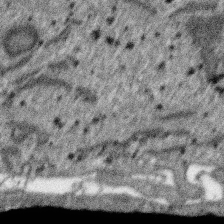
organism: Human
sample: Lung epithelial cells infected with SARS-CoV-2